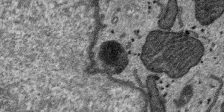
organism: Human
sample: Lung epithelial cells, uninfected (mock) control